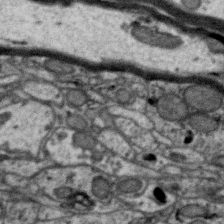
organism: Zebra finch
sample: Brain